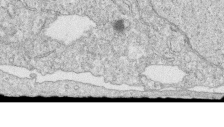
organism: Human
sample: HeLa cell HIV synapse